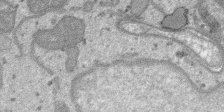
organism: Human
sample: Lung epithelial cells infected with SARS-CoV-2